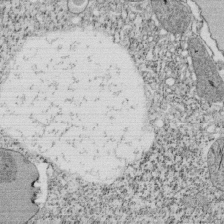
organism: Tetrahymena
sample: Cilia in tetrahymena